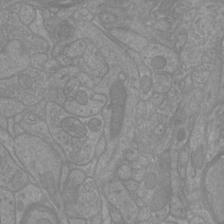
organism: Mouse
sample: Cortical neurons